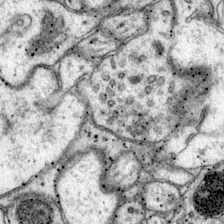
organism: Mouse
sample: Primary visual cortex